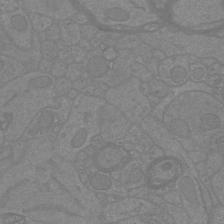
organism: Mouse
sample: Cortical neurons